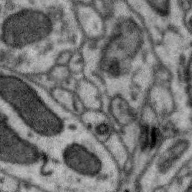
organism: Zebra finch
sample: Brain